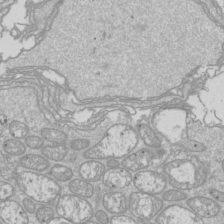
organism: Drosophila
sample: Cell division; meiosis; drosophila spermatocytes